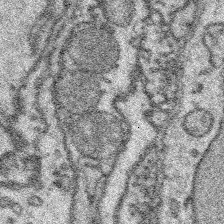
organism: Platynereis dumerilii